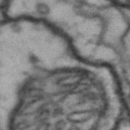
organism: Drosophila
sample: Brain